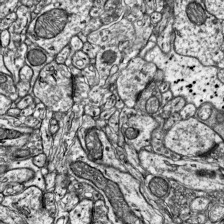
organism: Mouse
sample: Visual Cortex